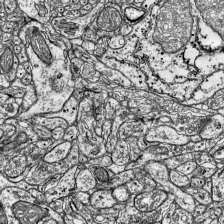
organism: Mouse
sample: Visual Cortex